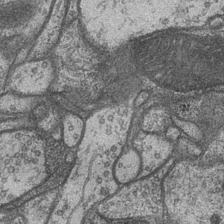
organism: Drosophila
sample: Optic medulla